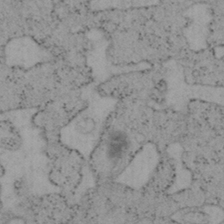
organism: Mouse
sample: OT-I killer T cells with ID8 ovarian cancer cells